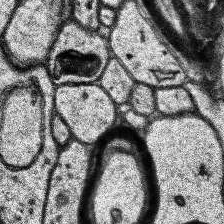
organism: Human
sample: Temporal Lobe